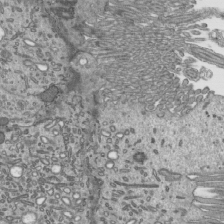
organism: Mouse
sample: Mouse epididymis efferent ductule cilia